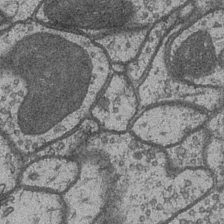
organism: Drosophila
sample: Optic medulla